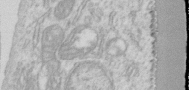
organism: Human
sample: Centriole in RPE cells